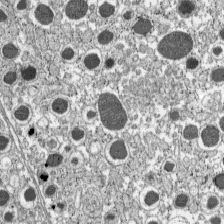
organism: C57BL Mouse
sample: Pancreatic islet